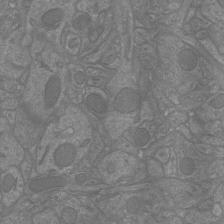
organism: Mouse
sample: Cortical neurons